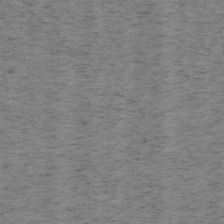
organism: Mouse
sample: OT-I killer T cells with ID8 ovarian cancer cells